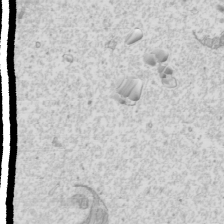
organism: Mouse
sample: Cilia; mouse epididymis